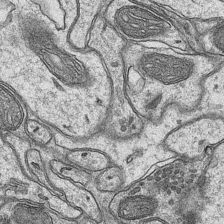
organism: Mouse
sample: CA1 Hippocampus